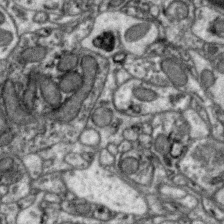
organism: Zebra finch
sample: Brain